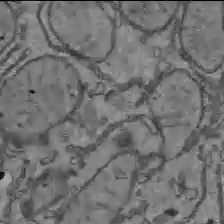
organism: C57BL Mouse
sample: Liver